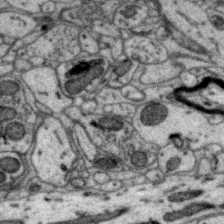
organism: Zebra finch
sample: Brain